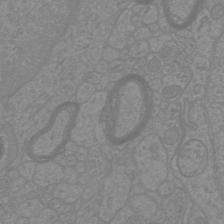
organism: Mouse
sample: Cortical neurons